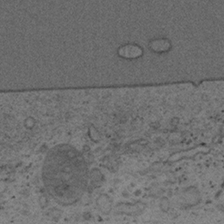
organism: Human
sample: HeLa cells